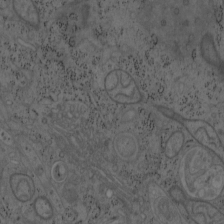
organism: Mouse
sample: OT-I killer T cells with ID8 ovarian cancer cells